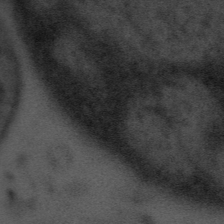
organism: Tuwongella immobilis